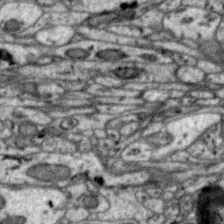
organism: Zebra finch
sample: Brain